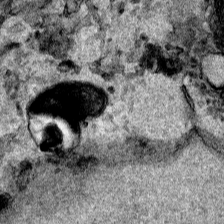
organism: Human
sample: Mitochondria in HCT116 cells